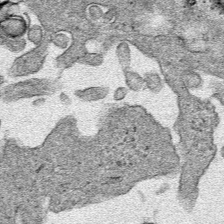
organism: Human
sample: Mitochondria in HCT116 cells